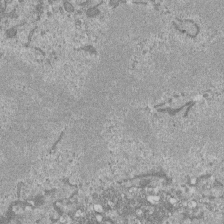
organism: Mouse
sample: ED-1 cell nuclei; centrioles